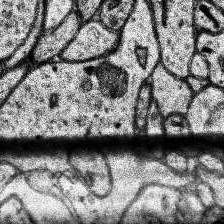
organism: Human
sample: Temporal Lobe